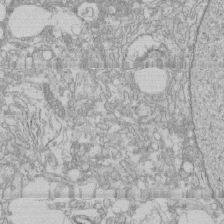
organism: Human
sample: CRL-1474